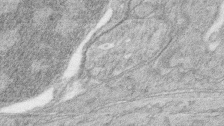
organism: Zebrafish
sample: synaptic ribbons in rod cells and cone cells